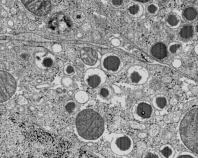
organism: C57BL Mouse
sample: Pancreatic islet